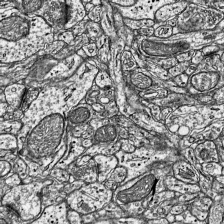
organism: Mouse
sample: Visual Cortex